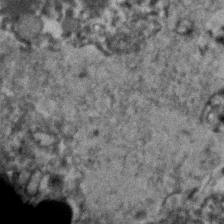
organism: Human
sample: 1205lu cells